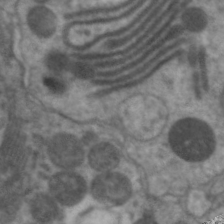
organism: C. elegans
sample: Pharynx